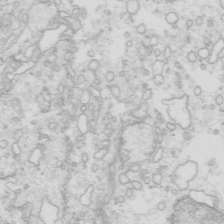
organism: Mouse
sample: Multiciliated cells